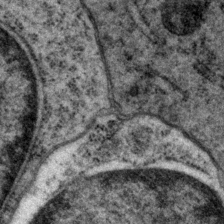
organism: P. pacificus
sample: Pharynx